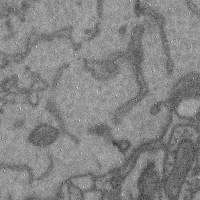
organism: Mouse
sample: Cerebral cortex